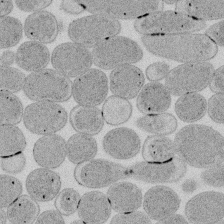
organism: E. coli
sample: Bacterial nucleoid